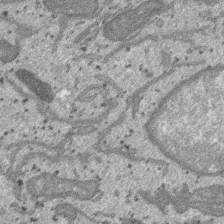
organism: Human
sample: Lung epithelial cells infected with SARS-CoV-2